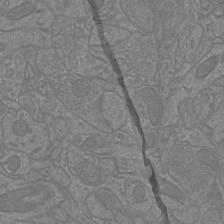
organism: Mouse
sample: Cortical neurons